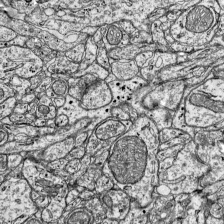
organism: Mouse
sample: Visual Cortex